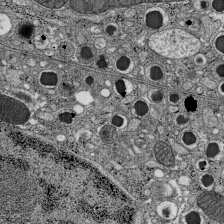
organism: C57BL Mouse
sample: Pancreatic islet